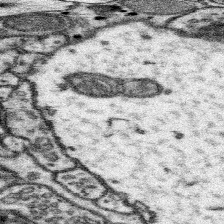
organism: Mouse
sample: Somatosensory cortex neuropil